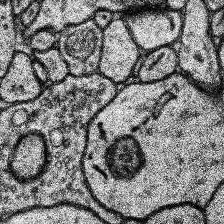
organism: Human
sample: Temporal Lobe